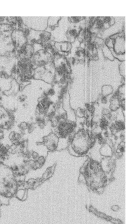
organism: Human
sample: HeLa cell HIV synapse